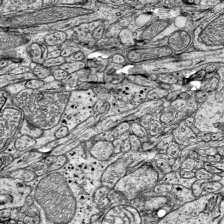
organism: Mouse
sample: Visual Cortex